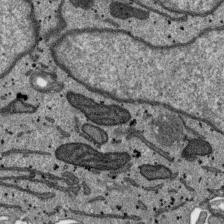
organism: Human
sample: Lung epithelial cells, uninfected (mock) control